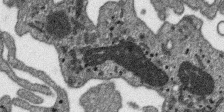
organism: Human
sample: Lung epithelial cells infected with SARS-CoV-2